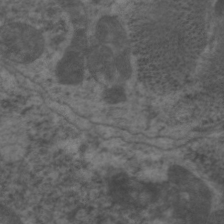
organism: C. elegans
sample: Pharynx